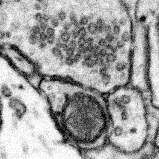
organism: Mouse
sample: Somatosensory cortex neuropil